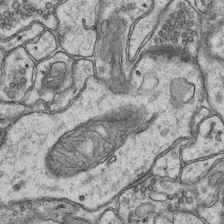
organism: Mouse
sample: CA1 Hippocampus